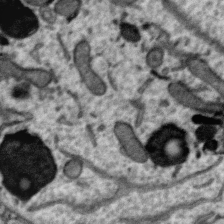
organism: Zebra finch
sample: Brain